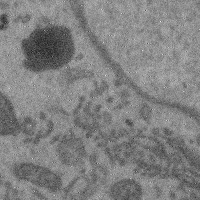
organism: Mouse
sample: Cerebral cortex